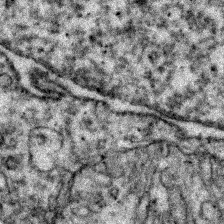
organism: Zebrafish